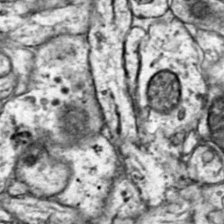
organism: Mouse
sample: Primary visual cortex